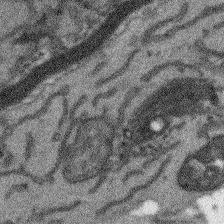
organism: Arabidopsis thaliana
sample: Root tip